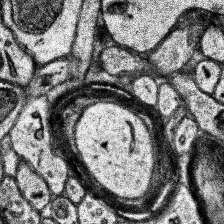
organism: Human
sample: Temporal Lobe